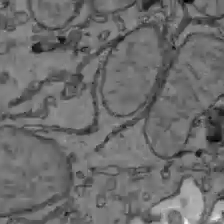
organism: C57BL Mouse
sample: Liver